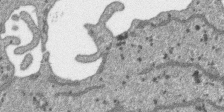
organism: Human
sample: Lung epithelial cells infected with SARS-CoV-2